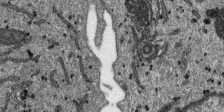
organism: Human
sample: Lung epithelial cells infected with SARS-CoV-2